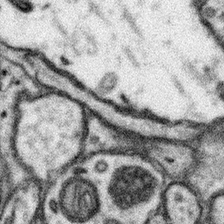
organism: Mouse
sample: Somatosensory cortex neuropil